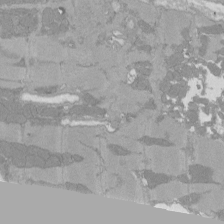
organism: Rat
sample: Left ventricle